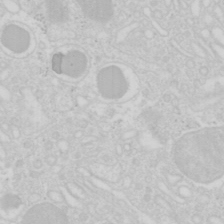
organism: Mouse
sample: Pancreas